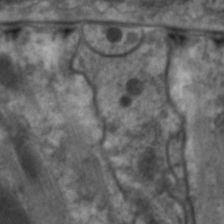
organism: C. elegans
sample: Pharynx